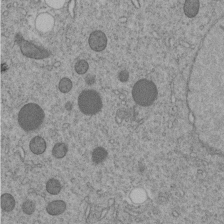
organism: C. elegans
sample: C. elegans embryo early stage